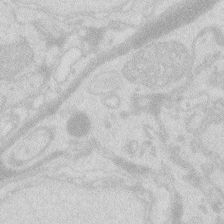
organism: Zebrafish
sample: Macrophage